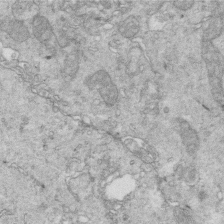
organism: Mouse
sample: Multiciliated cells